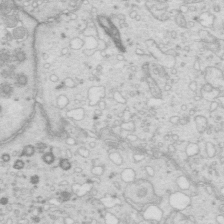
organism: Mouse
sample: Multiciliated cells